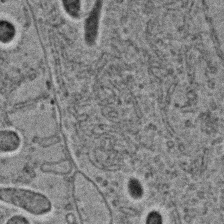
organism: C. elegans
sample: C. elegans embryo